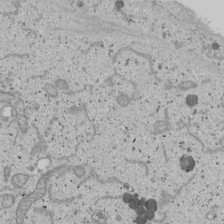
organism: Human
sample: Mitochondria in U2OS cells